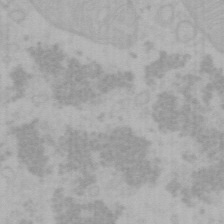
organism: Mouse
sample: Choroid plexus